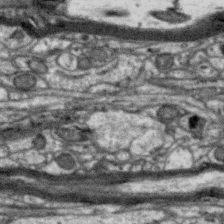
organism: Zebra finch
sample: Brain